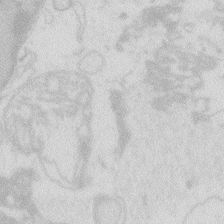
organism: Zebrafish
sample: Macrophage